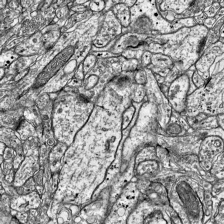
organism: Mouse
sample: Visual Cortex